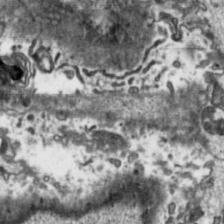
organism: Toxoplasma gondii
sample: Parasites in a vacuole inside a host cell